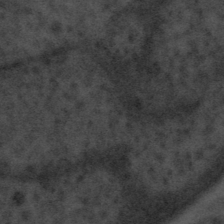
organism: Tuwongella immobilis